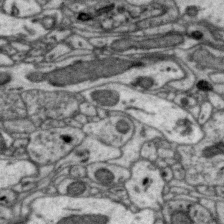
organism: Zebra finch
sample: Brain